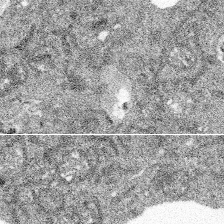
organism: Spongilla lacustris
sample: Multiple